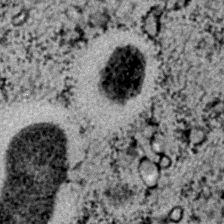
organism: C. elegans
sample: C. elegans embryo